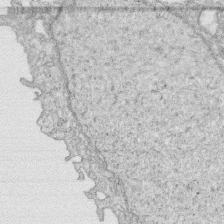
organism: Human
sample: HeLa cell HIV synapse